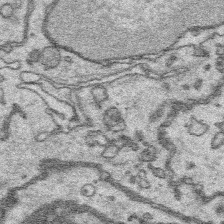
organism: Platynereis dumerilii